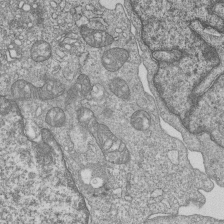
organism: Human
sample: MDA-MB-231 cells